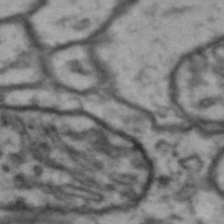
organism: Drosophila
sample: Brain